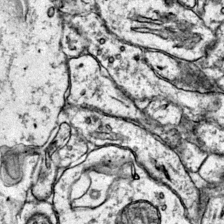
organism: Mouse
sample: Primary visual cortex